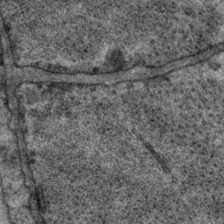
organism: P. pacificus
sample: Pharynx